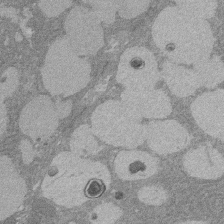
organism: Rat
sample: Salivary granule